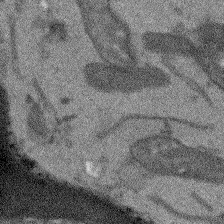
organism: Arabidopsis thaliana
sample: Root tip